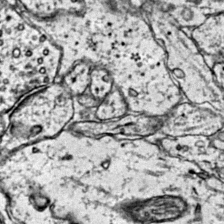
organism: Mouse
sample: Primary visual cortex